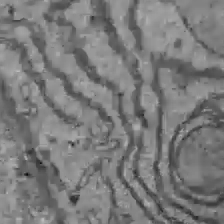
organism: C57BL Mouse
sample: Liver